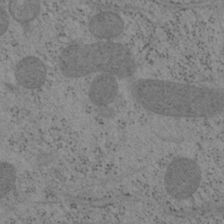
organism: Mouse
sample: OT-I killer T cells with ID8 ovarian cancer cells